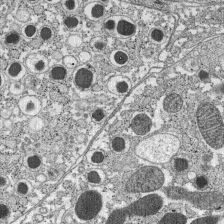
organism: C57BL Mouse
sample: Pancreatic islet